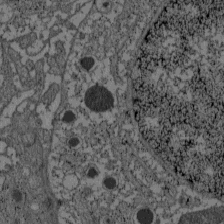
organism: C57BL Mouse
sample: Pancreatic islet